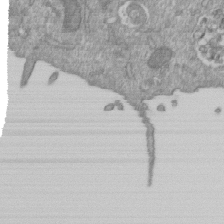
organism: Mouse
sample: ED-1 cell nuclei; centrioles